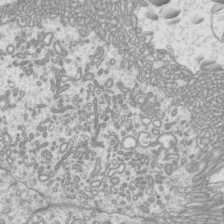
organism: Mouse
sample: Cilia; mouse epididymis